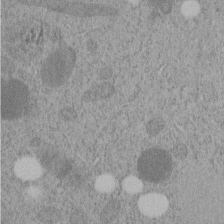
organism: C. elegans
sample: C. elegans embryo early stage